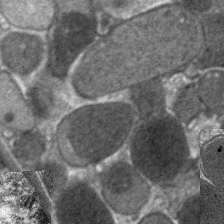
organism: C. elegans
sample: Pharynx